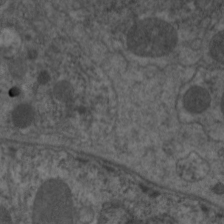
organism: C. elegans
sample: Pharynx